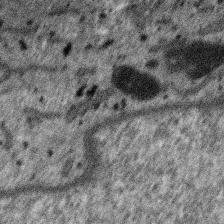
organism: Human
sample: Lung epithelial cells infected with SARS-CoV-2